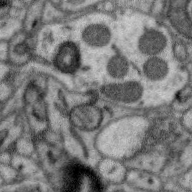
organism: Zebra finch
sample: Brain